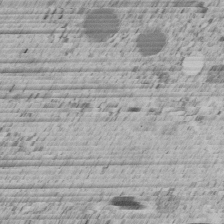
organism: C. elegans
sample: C. elegans embryo early stage